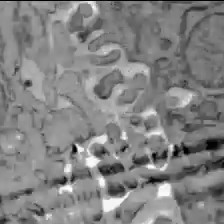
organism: C57BL Mouse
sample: Liver